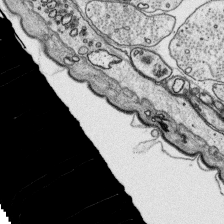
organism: Platynereis dumerilii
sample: Parapodia